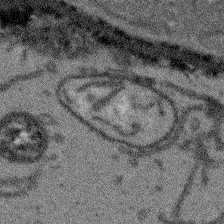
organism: Arabidopsis thaliana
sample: Root tip